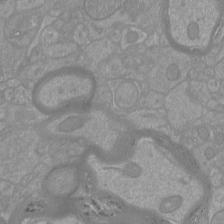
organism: Mouse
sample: Cortical neurons